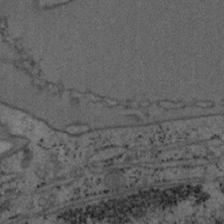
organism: Human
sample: HeLa cells